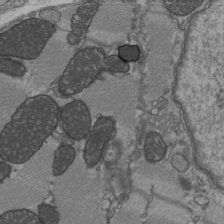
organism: C57BL Mouse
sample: Heart